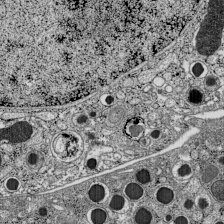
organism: C57BL Mouse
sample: Pancreatic islet